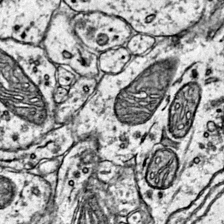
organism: Mouse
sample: Primary visual cortex